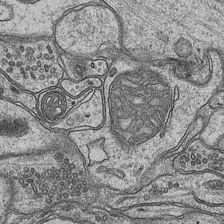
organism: Mouse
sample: CA1 Hippocampus